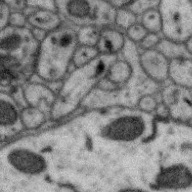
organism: Zebra finch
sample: Brain